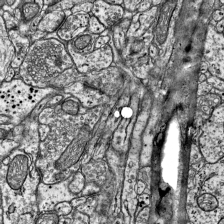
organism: Mouse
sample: Visual Cortex